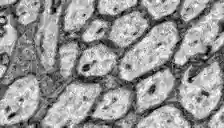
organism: Zebrafish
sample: Brain